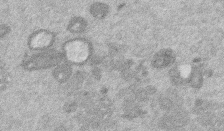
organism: Mouse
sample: Dividing mouse embryo 1 cell stage